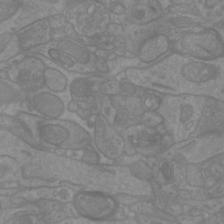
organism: Mouse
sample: Cortical neurons